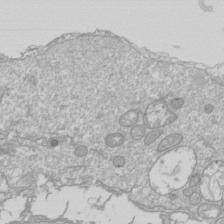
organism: Drosophila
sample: Cell division; meiosis; drosophila spermatocytes